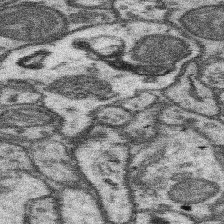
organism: Mouse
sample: Somatosensory cortex neuropil